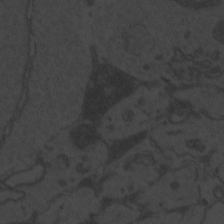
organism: Zebrafish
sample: Macrophage infected with Toxoplasma gondii